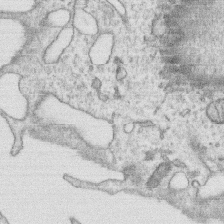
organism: Human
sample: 1205lu cells